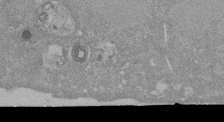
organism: Mouse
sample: ED-1 cell nuclei; centrioles